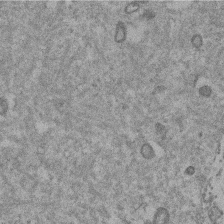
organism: Mouse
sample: Dividing mouse embryo 1 cell stage